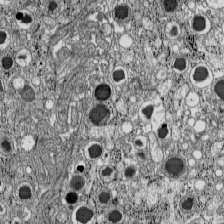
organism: C57BL Mouse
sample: Pancreatic islet